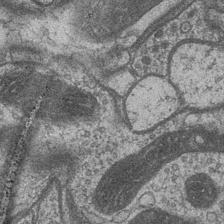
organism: Drosophila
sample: Optic medulla